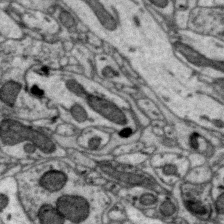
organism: Zebra finch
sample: Brain